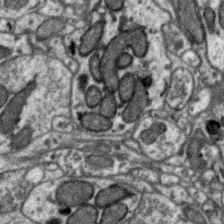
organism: Zebra finch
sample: Brain